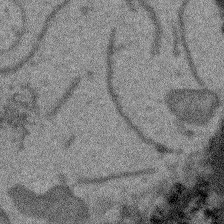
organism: Arabidopsis thaliana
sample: Root tip